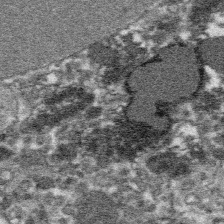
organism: Platynereis dumerilii